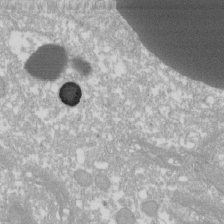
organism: Xenopus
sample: Cilia; centrioles in frog embryo cells